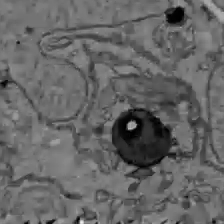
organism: C57BL Mouse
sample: Liver